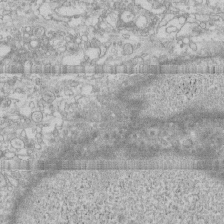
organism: Human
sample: CRL-1474